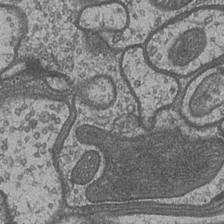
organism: Drosophila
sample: Optic medulla